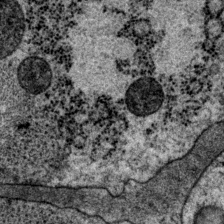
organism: P. pacificus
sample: Pharynx